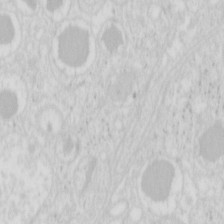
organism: Mouse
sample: Pancreas